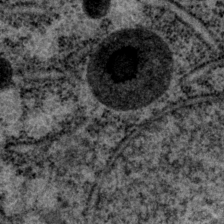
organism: P. pacificus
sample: Pharynx